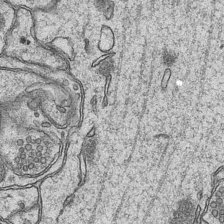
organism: Mouse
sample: CA1 Hippocampus